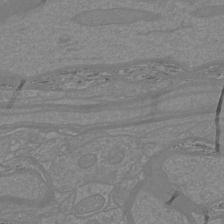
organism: Mouse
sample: Cortical neurons